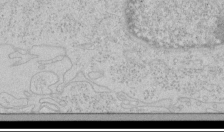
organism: Human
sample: Mitochondria in HCT116 cells